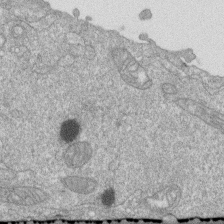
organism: Human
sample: HeLa cell HIV synapse